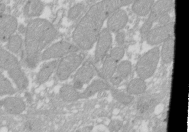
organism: Xenopus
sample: Cilia; centrioles in frog embryo cells